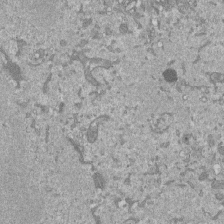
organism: Mouse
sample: ED-1 cell nuclei; centrioles